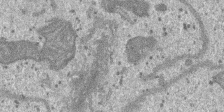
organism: Human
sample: Lung epithelial cells infected with SARS-CoV-2